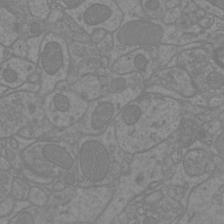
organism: Mouse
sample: Cortical neurons